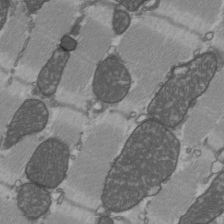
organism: C57BL Mouse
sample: Heart